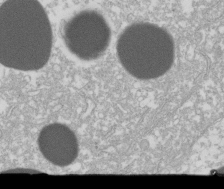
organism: Xenopus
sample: Cilia; centrioles in frog embryo cells